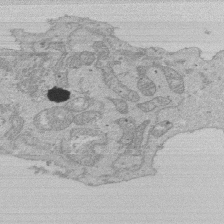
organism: Human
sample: Activated Jurkat CD4+ T cells